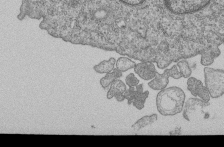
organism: Human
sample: MDA-MB-231 cells